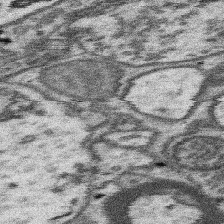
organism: Mouse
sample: Somatosensory cortex neuropil